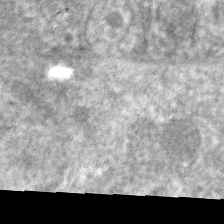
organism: C. elegans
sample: Pharynx